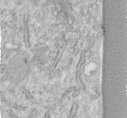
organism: Human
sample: Centriole in fibroblast cells